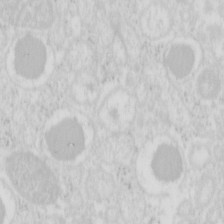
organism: Mouse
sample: Pancreas